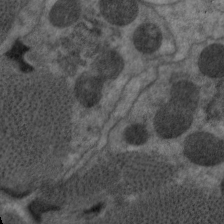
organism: C. elegans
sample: Pharynx